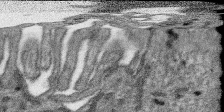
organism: Human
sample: Lung epithelial cells infected with SARS-CoV-2